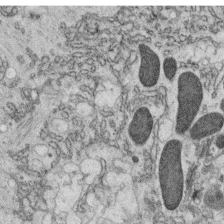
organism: C. elegans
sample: C. elegans oocyte; sperm cells